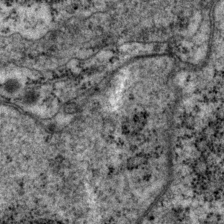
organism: P. pacificus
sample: Pharynx